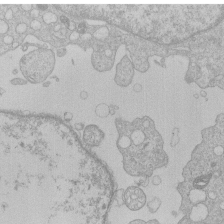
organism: Human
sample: Macrophage cells